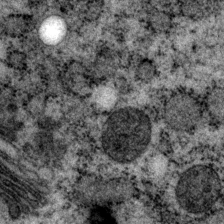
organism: P. pacificus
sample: Pharynx